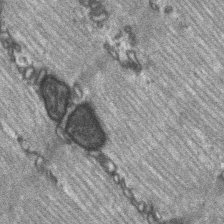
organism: C57BL Mouse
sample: Soleus